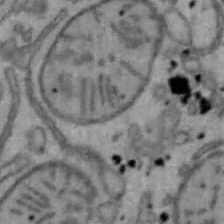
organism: Mouse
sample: Liver